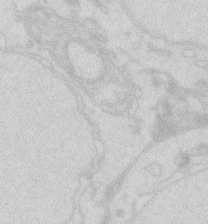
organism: Zebrafish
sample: Macrophage